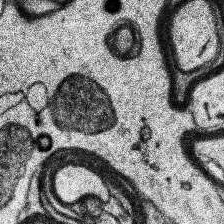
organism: Human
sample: Temporal Lobe